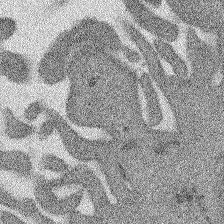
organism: Human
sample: HeLa cells